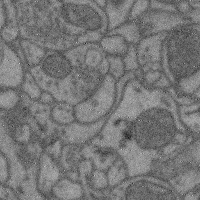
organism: Mouse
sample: Cerebral cortex